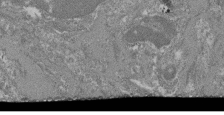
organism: Mouse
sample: Glomerulus